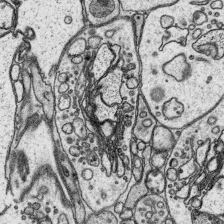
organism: Platynereis dumerilii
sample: Parapodia